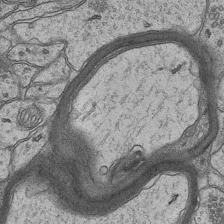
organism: Mouse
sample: CA1 Hippocampus